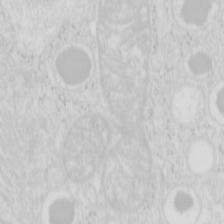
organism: Mouse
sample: Pancreas